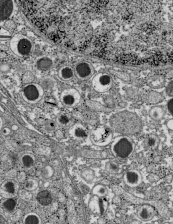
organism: C57BL Mouse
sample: Pancreatic islet